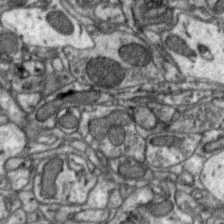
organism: Zebra finch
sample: Brain